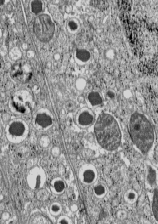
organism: C57BL Mouse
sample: Pancreatic islet